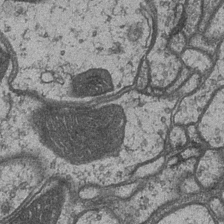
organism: Drosophila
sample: Optic medulla